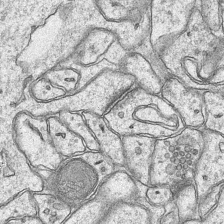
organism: Mouse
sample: CA1 Hippocampus